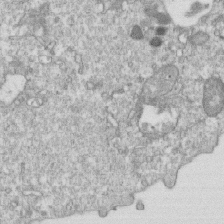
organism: Mouse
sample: Activated OT-1 CD8+ T cells